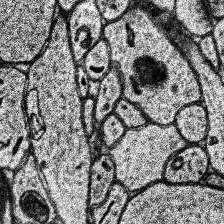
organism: Human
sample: Temporal Lobe